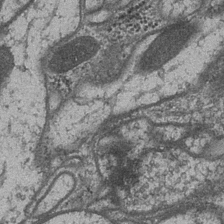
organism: Drosophila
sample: Optic medulla